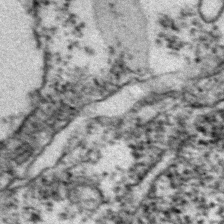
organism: Zebrafish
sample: Zebrafish embryo